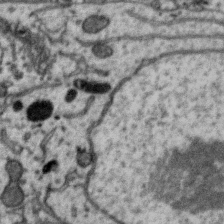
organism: Zebra finch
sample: Brain